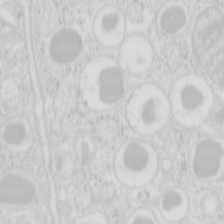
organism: Mouse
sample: Pancreas